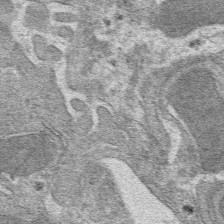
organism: Mouse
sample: Mouse hepatocytes